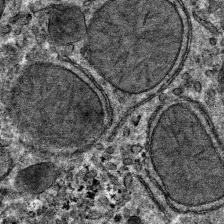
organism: Mouse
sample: Mouse hepatocytes